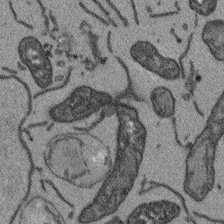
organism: Arabidopsis thaliana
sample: Root tip